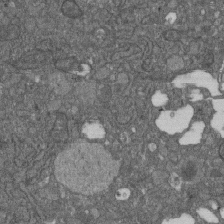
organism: Drosophila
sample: Nephrocyte